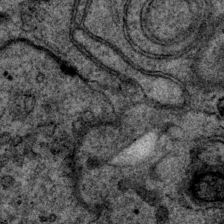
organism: P. pacificus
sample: Pharynx